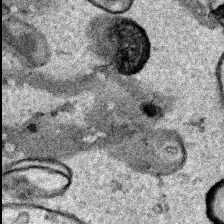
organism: Human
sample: Mitochondria in HCT116 cells